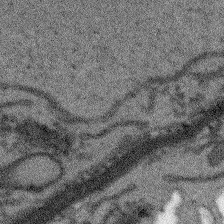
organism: Arabidopsis thaliana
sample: Root tip